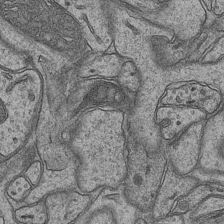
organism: Mouse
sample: CA1 Hippocampus